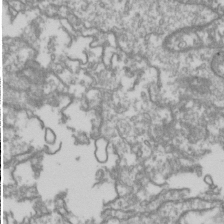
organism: Drosophila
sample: Cell division; meiosis; drosophila spermatocytes